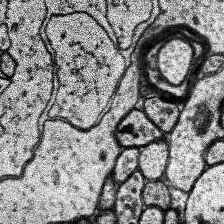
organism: Human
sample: Temporal Lobe